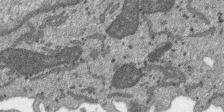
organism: Human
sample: Lung epithelial cells infected with SARS-CoV-2